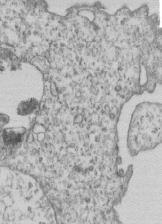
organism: Human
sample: MDA-MB-231 cells